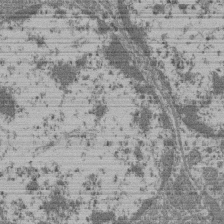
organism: Mouse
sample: Glomerulus